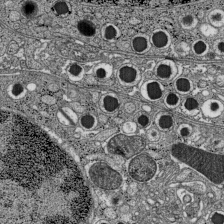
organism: C57BL Mouse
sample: Pancreatic islet